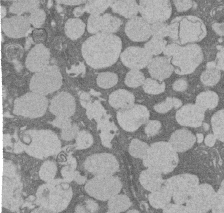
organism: Rat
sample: Salivary granule